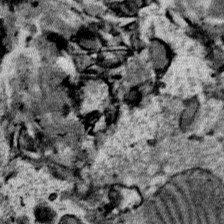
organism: Mouse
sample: Mouse Salivary gland